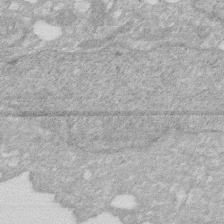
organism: Human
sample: HIV infected U937 cells